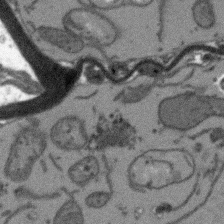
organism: Arabidopsis thaliana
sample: Root tip